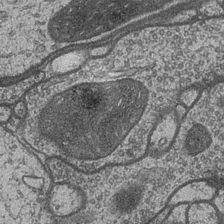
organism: Drosophila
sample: Optic medulla